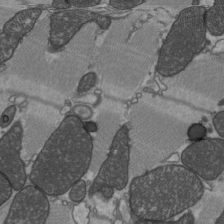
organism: C57BL Mouse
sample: Heart